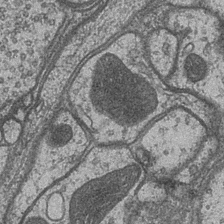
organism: Drosophila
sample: Optic medulla